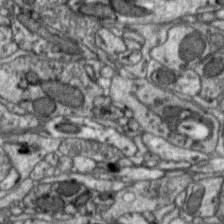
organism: Zebra finch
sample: Brain